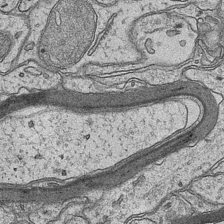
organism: Mouse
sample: CA1 Hippocampus